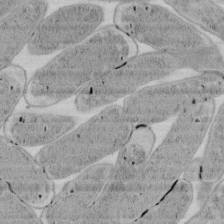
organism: E. coli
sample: Bacterial nucleoid